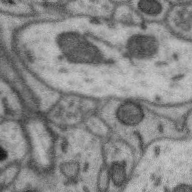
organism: Zebra finch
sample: Brain